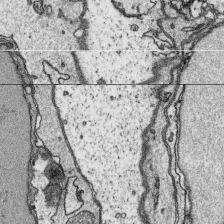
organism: Platynereis dumerilii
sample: Parapodia